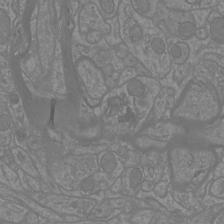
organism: Mouse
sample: Cortical neurons